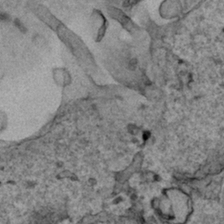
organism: Human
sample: Mitochondria in HCT116 cells